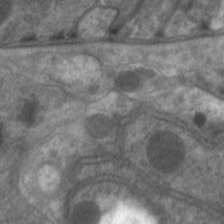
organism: C. elegans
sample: Pharynx